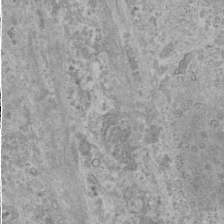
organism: Human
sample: Cilia; basal body in RPE cells